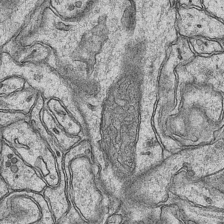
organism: Mouse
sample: CA1 Hippocampus